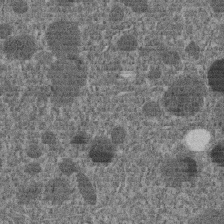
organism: C. elegans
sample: C. elegans embryo early stage